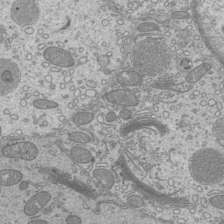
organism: Mouse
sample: Cilia; mouse epididymis